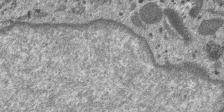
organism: Human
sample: Lung epithelial cells infected with SARS-CoV-2